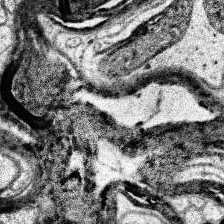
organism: Human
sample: Temporal Lobe